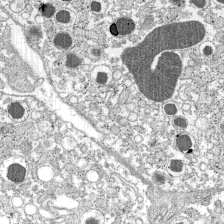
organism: C57BL Mouse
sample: Pancreatic islet